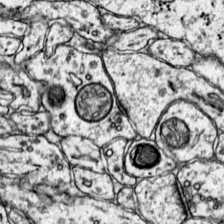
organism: Mouse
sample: Primary visual cortex